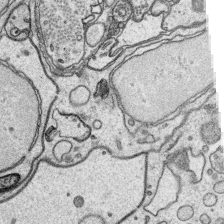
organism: Platynereis dumerilii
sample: Parapodia